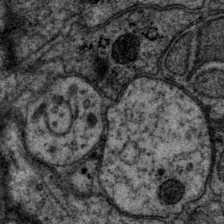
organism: P. pacificus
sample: Pharynx